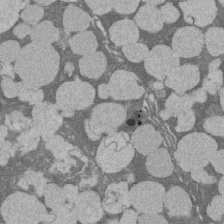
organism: Rat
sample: Salivary granule